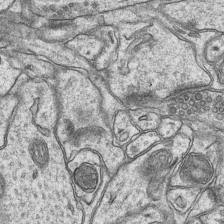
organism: Mouse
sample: CA1 Hippocampus